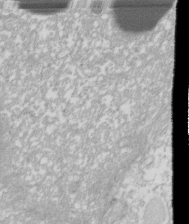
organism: Xenopus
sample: Cilia; centrioles in frog embryo cells